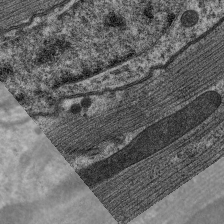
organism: C. elegans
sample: Pharynx